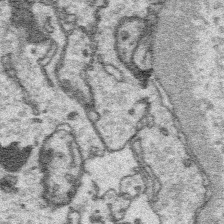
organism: Platynereis dumerilii